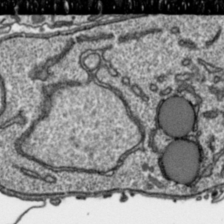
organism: Toxoplasma gondii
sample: Parasites in a vacuole inside a host cell